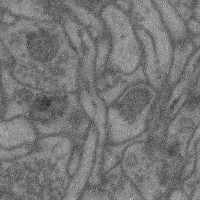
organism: Mouse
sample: Cerebral cortex